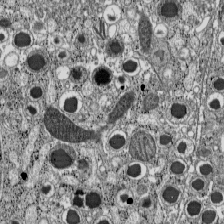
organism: C57BL Mouse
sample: Pancreatic islet